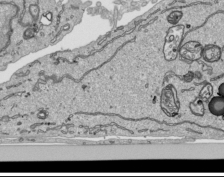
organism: Human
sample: Mitochondria in HCT116 cells